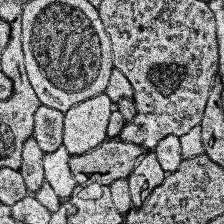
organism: Human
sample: Temporal Lobe